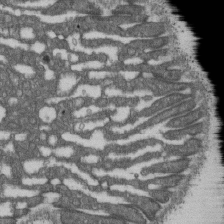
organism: Drosophila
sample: Nephrocyte